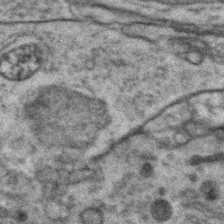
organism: Zebrafish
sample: Zebrafish embryo